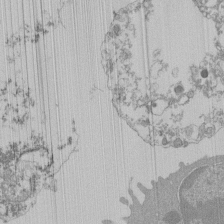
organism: Mouse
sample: Activated Pmel transgenic CD8+ T Cells